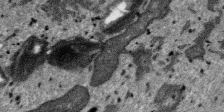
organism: Human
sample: Lung epithelial cells, uninfected (mock) control